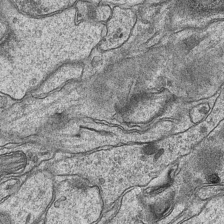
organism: Mouse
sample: CA1 Hippocampus